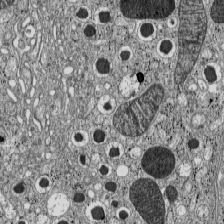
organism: C57BL Mouse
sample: Pancreatic islet